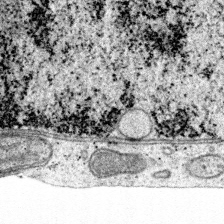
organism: Human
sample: HeLa cells